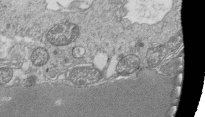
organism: Tetrahymena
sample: Cilia in tetrahymena